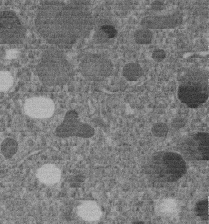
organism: C. elegans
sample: C. elegans embryo early stage